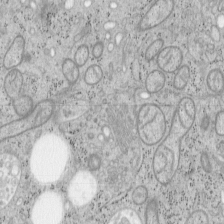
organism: Mouse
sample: OT-I killer T cells with ID8 ovarian cancer cells